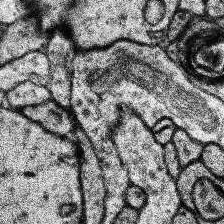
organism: Human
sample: Temporal Lobe